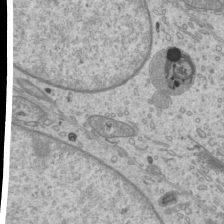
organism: Mouse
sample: Cilia; mouse epididymis